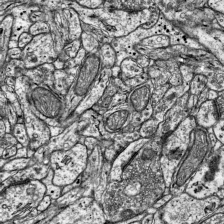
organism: Mouse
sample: Visual Cortex